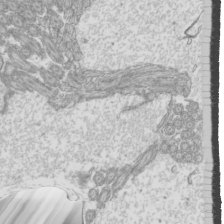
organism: Mouse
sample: Cilia; mouse epididymis